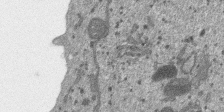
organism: Human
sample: Lung epithelial cells infected with SARS-CoV-2